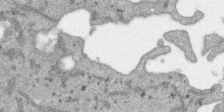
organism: Human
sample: Lung epithelial cells infected with SARS-CoV-2